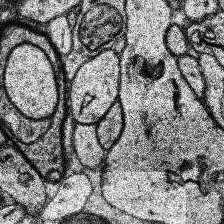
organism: Human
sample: Temporal Lobe